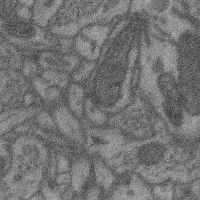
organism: Mouse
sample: Cerebral cortex